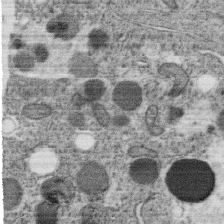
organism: C. elegans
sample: C. elegans oocyte; sperm cells